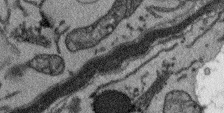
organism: Arabidopsis thaliana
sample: Root tip